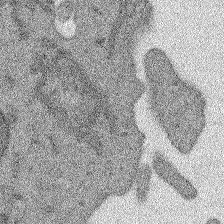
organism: Human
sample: HeLa cells